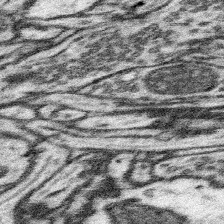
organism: Mouse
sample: Somatosensory cortex neuropil